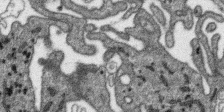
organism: Human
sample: Lung epithelial cells infected with SARS-CoV-2